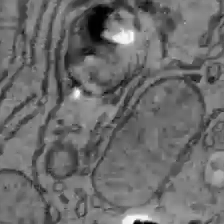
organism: C57BL Mouse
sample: Liver